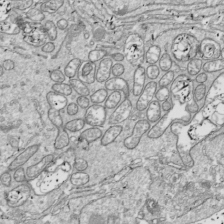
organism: Drosophila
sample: Cell division; meiosis; drosophila spermatocytes